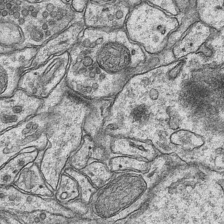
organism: Mouse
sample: CA1 Hippocampus